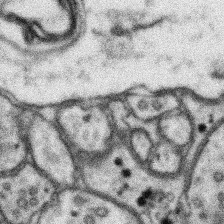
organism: Mouse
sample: Somatosensory cortex neuropil